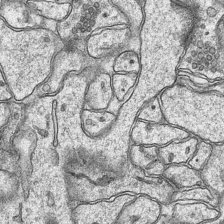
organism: Mouse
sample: CA1 Hippocampus